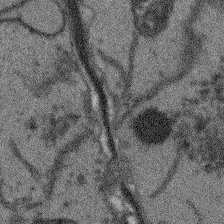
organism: Arabidopsis thaliana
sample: Root tip